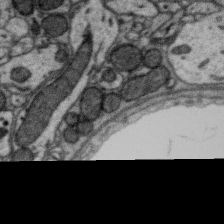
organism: Zebra finch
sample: Brain